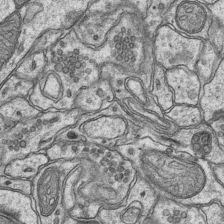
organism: Mouse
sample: CA1 Hippocampus